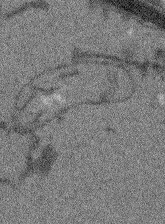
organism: Arabidopsis thaliana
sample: Root tip